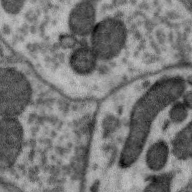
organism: Zebra finch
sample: Brain